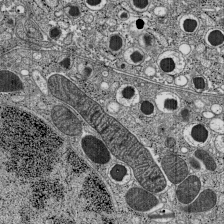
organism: C57BL Mouse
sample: Pancreatic islet